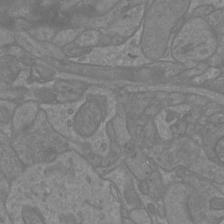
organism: Mouse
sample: Cortical neurons